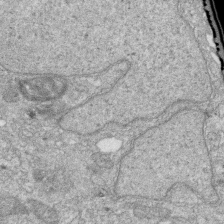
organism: Human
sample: HeLa cell HIV synapse